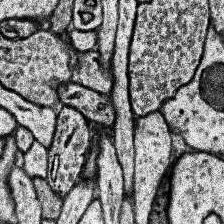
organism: Human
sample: Temporal Lobe